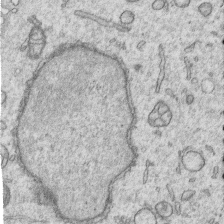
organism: Human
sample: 1205lu cells